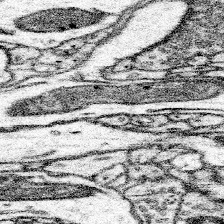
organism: Mouse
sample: Somatosensory cortex neuropil